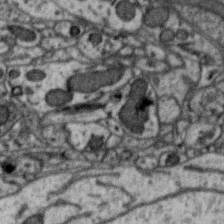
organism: Zebra finch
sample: Brain